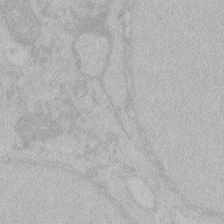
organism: Zebrafish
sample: Macrophage infected with Toxoplasma gondii